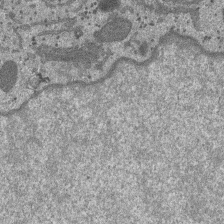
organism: Human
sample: Lung epithelial cells infected with SARS-CoV-2